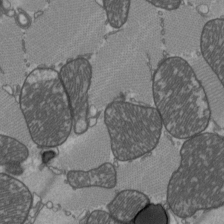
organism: C57BL Mouse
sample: Heart